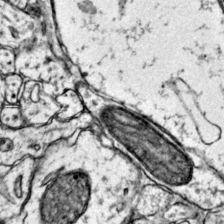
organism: Mouse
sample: Primary visual cortex